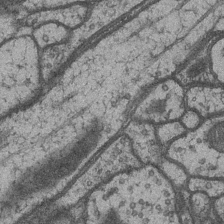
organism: Drosophila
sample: Optic medulla